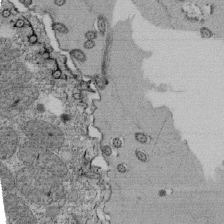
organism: Tetrahymena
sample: Cilia in tetrahymena